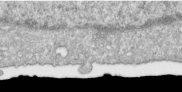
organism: Human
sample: Centriole in RPE cells